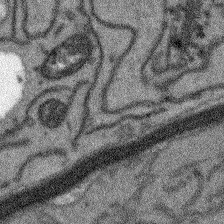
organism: Arabidopsis thaliana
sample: Root tip